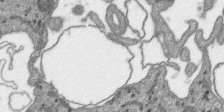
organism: Human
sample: Lung epithelial cells infected with SARS-CoV-2